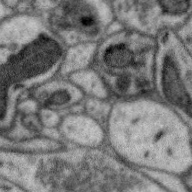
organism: Zebra finch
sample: Brain